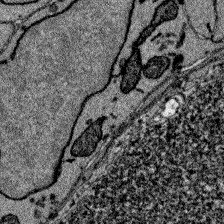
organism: Zebrafish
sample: Larval olfactory bulb